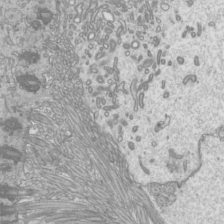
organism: Mouse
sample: Cilia; mouse epididymis